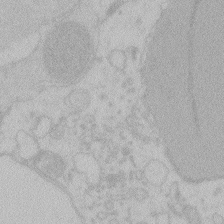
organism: Zebrafish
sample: Macrophage infected with Toxoplasma gondii